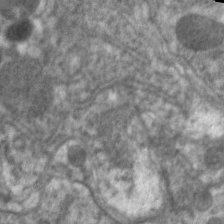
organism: C. elegans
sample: Pharynx